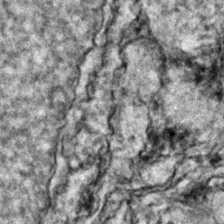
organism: Zebrafish